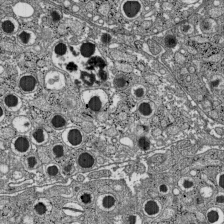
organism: C57BL Mouse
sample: Pancreatic islet